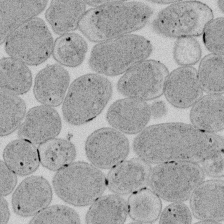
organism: E. coli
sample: Bacterial nucleoid